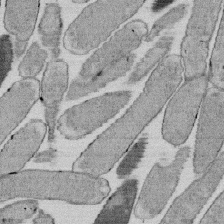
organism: E. coli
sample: Bacterial nucleoid